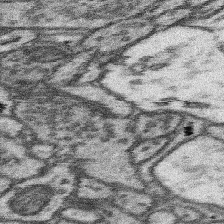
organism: Mouse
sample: Somatosensory cortex neuropil